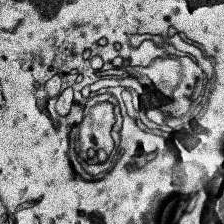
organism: Human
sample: Temporal Lobe